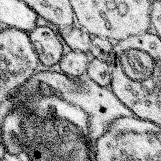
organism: Mouse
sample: Somatosensory cortex neuropil